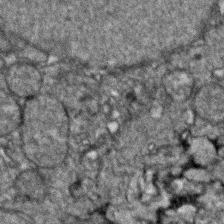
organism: Zebrafish